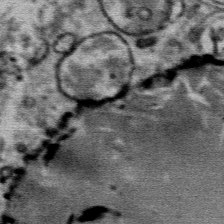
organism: Mouse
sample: Mouse Salivary gland